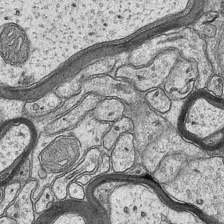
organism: Mouse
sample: CA1 Hippocampus